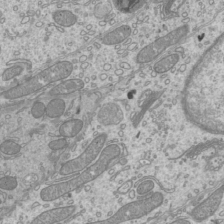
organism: Mouse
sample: Cilia; mouse epididymis